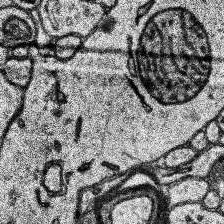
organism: Human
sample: Temporal Lobe